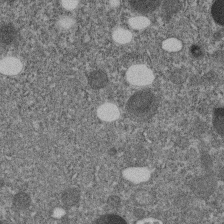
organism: C. elegans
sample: C. elegans embryo early stage